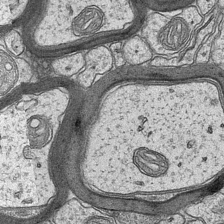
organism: Mouse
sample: CA1 Hippocampus